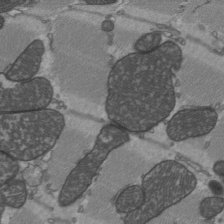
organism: C57BL Mouse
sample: Heart